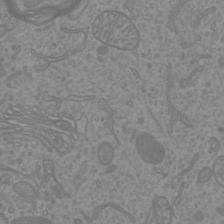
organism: Mouse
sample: Cortical neurons